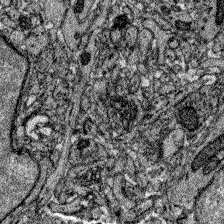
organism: Zebrafish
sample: Larval olfactory bulb